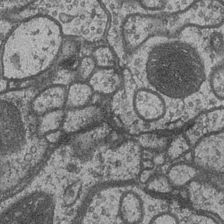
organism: Drosophila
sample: Optic medulla